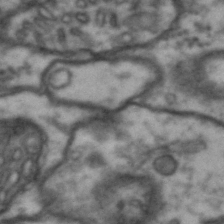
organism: Drosophila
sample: Brain